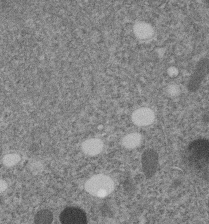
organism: C. elegans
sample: C. elegans embryo early stage